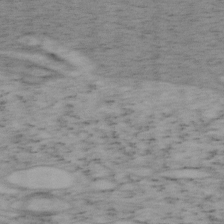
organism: Mouse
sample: OT-I killer T cells with ID8 ovarian cancer cells